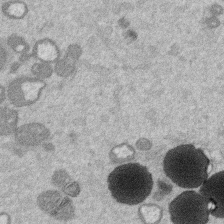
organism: Mouse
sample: Dividing mouse embryo 1 cell stage